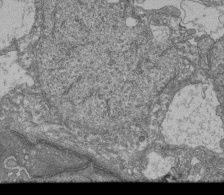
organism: Human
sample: Retinal organoid Rod and Cone cells